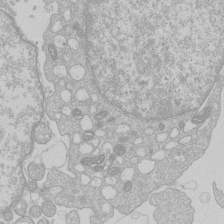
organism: Human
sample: Macrophage cells